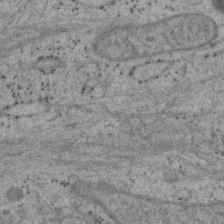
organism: Human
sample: HeLa cells